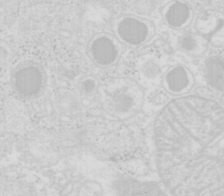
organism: Mouse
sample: Pancreas